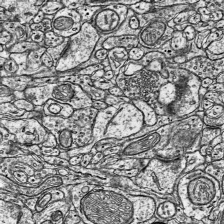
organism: Mouse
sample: Visual Cortex